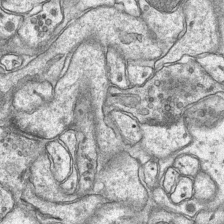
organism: Mouse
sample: CA1 Hippocampus